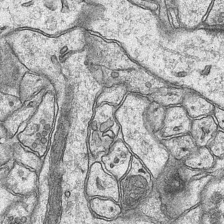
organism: Mouse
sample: CA1 Hippocampus